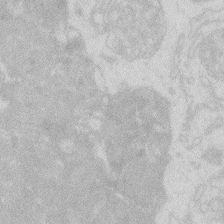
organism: Zebrafish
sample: Macrophage